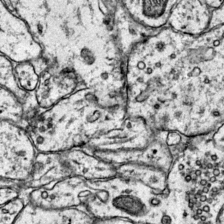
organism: Mouse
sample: Primary visual cortex